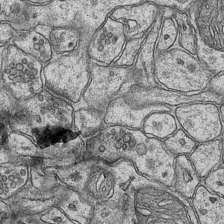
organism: Mouse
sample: CA1 Hippocampus